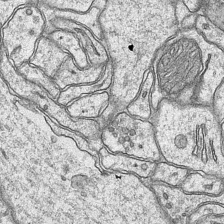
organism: Mouse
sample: CA1 Hippocampus